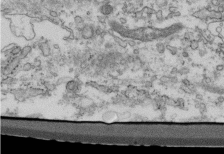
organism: Mouse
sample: Cilia; retinal pigment epithelium